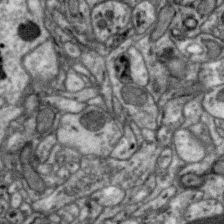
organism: Zebra finch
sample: Brain